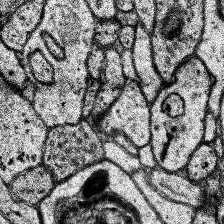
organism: Human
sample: Temporal Lobe